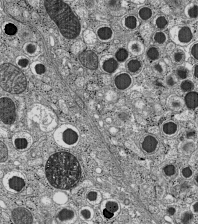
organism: C57BL Mouse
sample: Pancreatic islet